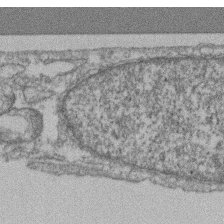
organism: Mouse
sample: T cell stromal cell synapse